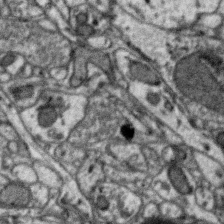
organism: Zebra finch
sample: Brain